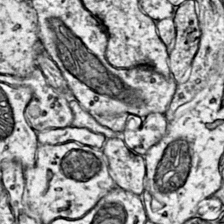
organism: Mouse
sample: Primary visual cortex